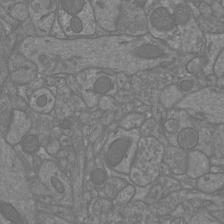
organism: Mouse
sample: Cortical neurons